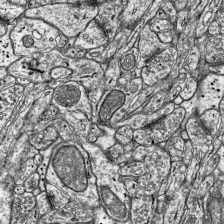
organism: Mouse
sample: Visual Cortex